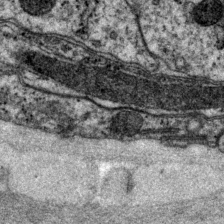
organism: P. pacificus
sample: Pharynx